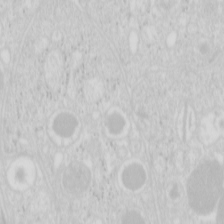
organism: Mouse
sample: Pancreas